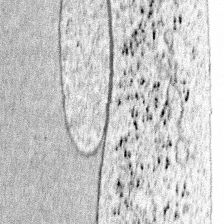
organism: Human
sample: HeLa cells